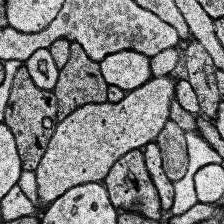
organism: Human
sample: Temporal Lobe